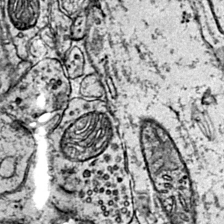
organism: Mouse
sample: Primary visual cortex